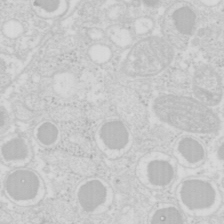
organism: Mouse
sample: Pancreas